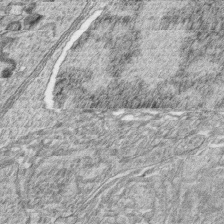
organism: Zebrafish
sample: synaptic ribbons in rod cells and cone cells